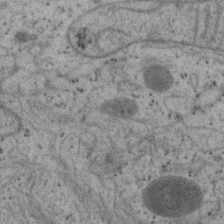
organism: Human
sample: HeLa cells